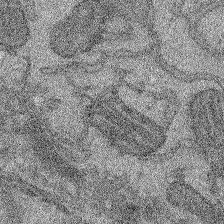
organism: Human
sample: HeLa cells